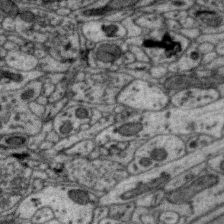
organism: Zebra finch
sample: Brain